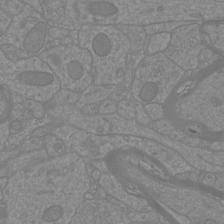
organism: Mouse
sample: Cortical neurons